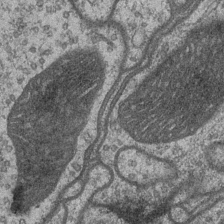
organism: Drosophila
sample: Optic medulla